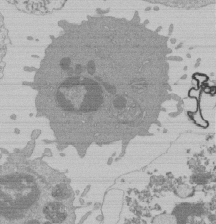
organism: Mouse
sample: Activated Pmel transgenic CD8+ T Cells